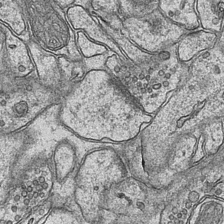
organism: Mouse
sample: CA1 Hippocampus